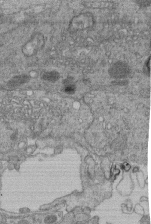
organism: Human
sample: Retinal organoid Rod and Cone cells